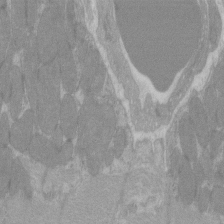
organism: C57BL Mouse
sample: Tibialis anterior muscle cell